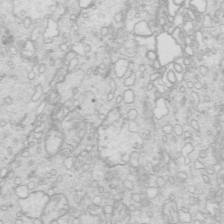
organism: Mouse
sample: Multiciliated cells